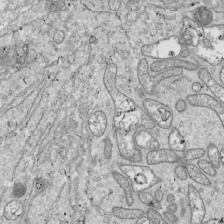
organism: Drosophila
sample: Cell division; meiosis; drosophila spermatocytes